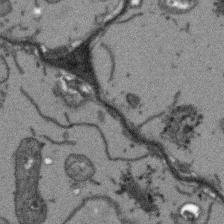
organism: Arabidopsis thaliana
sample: Root tip